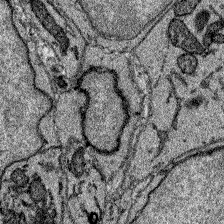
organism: Zebrafish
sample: Larval olfactory bulb